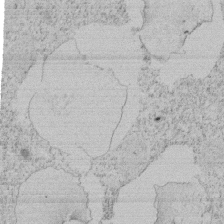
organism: Tetrahymena